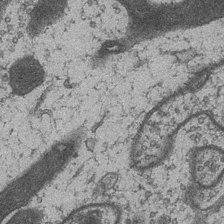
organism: Drosophila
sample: Optic medulla